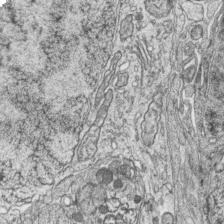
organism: Zebrafish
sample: synaptic ribbons in rod cells and cone cells